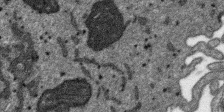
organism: Human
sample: Lung epithelial cells infected with SARS-CoV-2